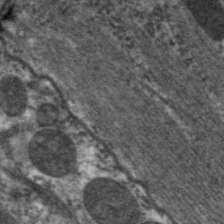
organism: C. elegans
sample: Pharynx